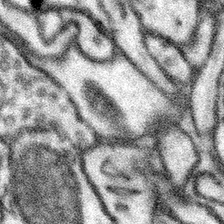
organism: Mouse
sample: Somatosensory cortex neuropil